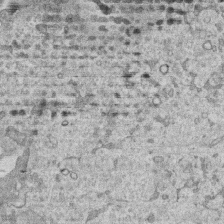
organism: Human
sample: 1205lu cells